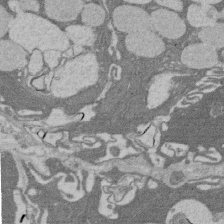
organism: Rat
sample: Salivary granule